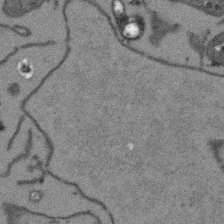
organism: Arabidopsis thaliana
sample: Root tip